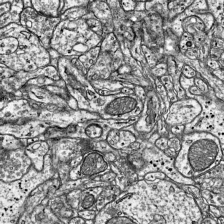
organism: Mouse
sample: Visual Cortex